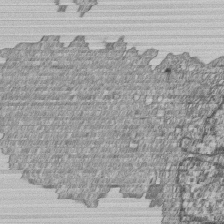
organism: Human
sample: MDA-MB-231 cells